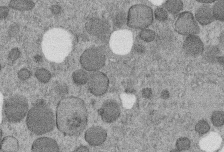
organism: C. elegans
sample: C. elegans embryo early stage